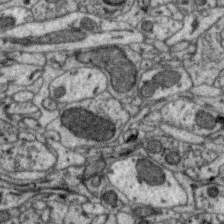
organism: Zebra finch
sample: Brain